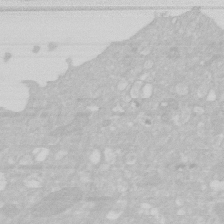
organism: Human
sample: HIV infected U937 cells